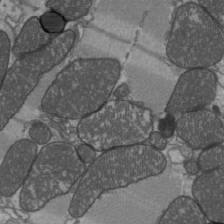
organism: C57BL Mouse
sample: Heart